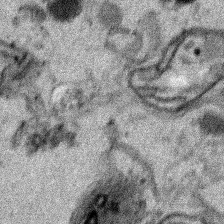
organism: Human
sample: Mitochondria in HCT116 cells